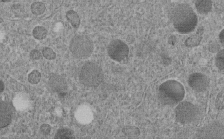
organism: C. elegans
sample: C. elegans embryo early stage